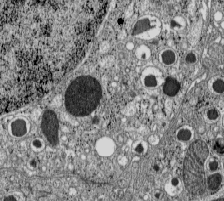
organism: C57BL Mouse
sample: Pancreatic islet